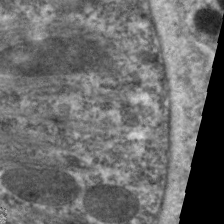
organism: C. elegans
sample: Pharynx